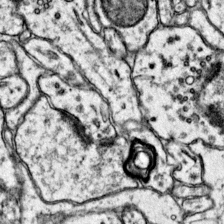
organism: Mouse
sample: Primary visual cortex